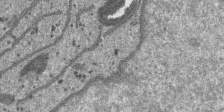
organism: Human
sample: Lung epithelial cells infected with SARS-CoV-2